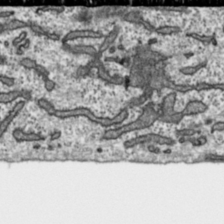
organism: Toxoplasma gondii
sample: Parasites in a vacuole inside a host cell